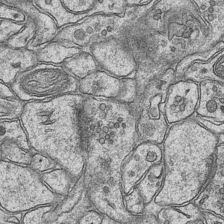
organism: Mouse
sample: CA1 Hippocampus